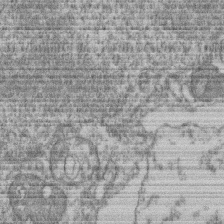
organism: Mouse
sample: T cell stromal cell synapse